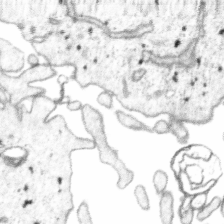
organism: Human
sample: HeLa cells